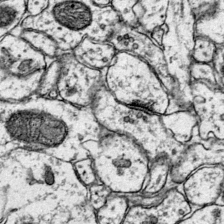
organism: Mouse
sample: Primary visual cortex